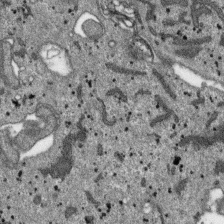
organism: Human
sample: Lung epithelial cells, uninfected (mock) control